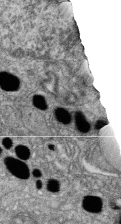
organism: Zebrafish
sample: Cilia; retinal pigment epithelium